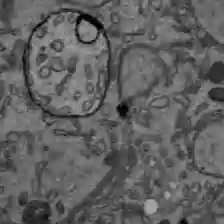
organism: C57BL Mouse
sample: Liver